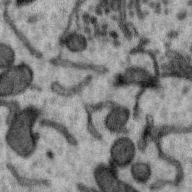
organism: Zebra finch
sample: Brain